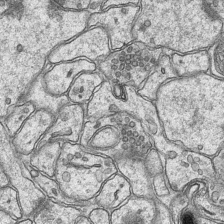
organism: Mouse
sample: CA1 Hippocampus